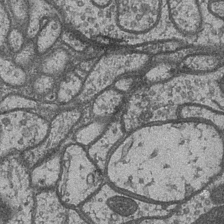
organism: Drosophila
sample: Optic medulla